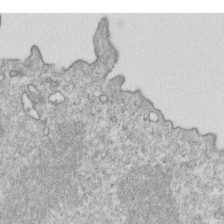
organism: Mouse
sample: Activated OT-1 CD8+ T cells